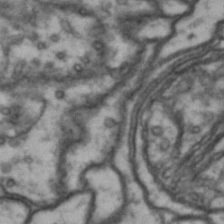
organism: Drosophila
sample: Brain